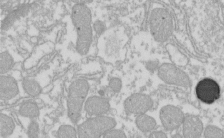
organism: Xenopus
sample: Cilia; centrioles in frog embryo cells